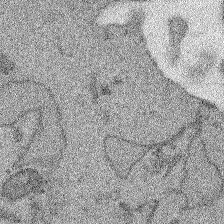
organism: Human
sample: HeLa cells